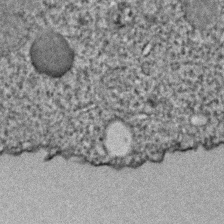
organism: C. elegans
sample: C. elegans embryo